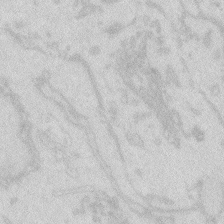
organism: Zebrafish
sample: Macrophage